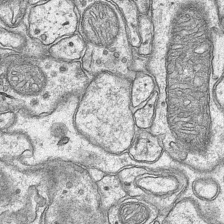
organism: Mouse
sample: CA1 Hippocampus